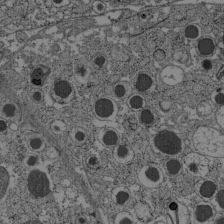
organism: C57BL Mouse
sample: Pancreatic islet